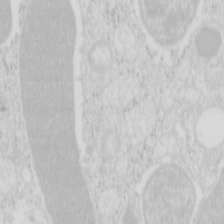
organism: Mouse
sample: Pancreas